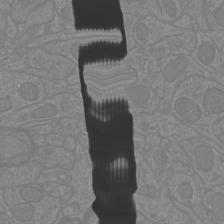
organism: Mouse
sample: Cortical neurons